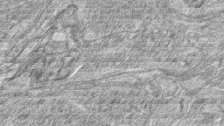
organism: Zebrafish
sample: synaptic ribbons in rod cells and cone cells